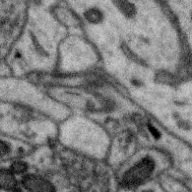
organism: Zebra finch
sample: Brain